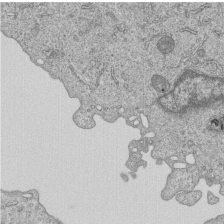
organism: Human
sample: MDA-MB-231 cells